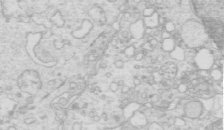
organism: Mouse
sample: Multiciliated cells